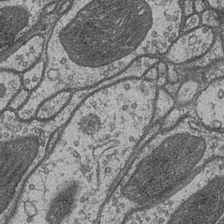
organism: Drosophila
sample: Optic medulla